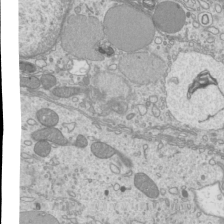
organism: Mouse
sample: Cilia; mouse epididymis